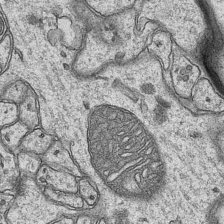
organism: Mouse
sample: CA1 Hippocampus